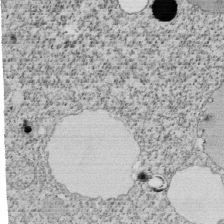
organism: Tetrahymena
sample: Cilia in tetrahymena